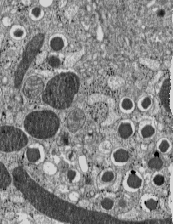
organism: C57BL Mouse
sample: Pancreatic islet